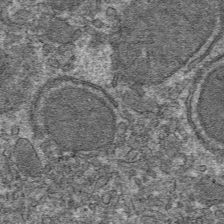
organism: Mouse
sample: Mouse hepatocytes